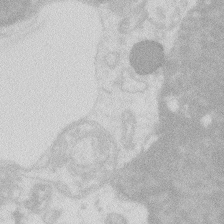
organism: Zebrafish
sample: Macrophage